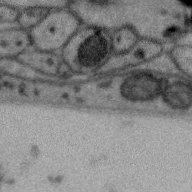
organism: Zebra finch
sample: Brain